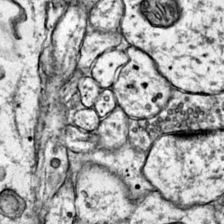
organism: Mouse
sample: Primary visual cortex